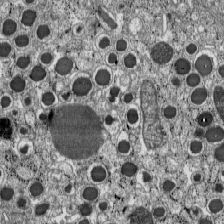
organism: C57BL Mouse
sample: Pancreatic islet